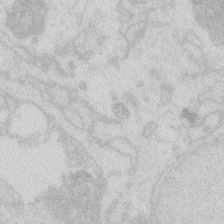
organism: Zebrafish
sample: Macrophage